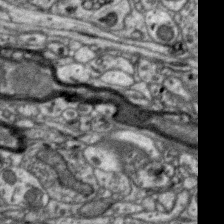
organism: Zebra finch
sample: Brain